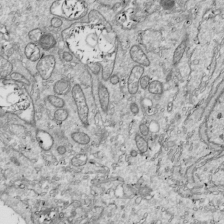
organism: Drosophila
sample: Cell division; meiosis; drosophila spermatocytes